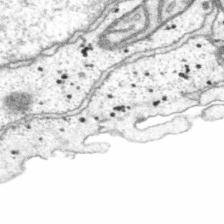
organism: Human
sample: HeLa cells